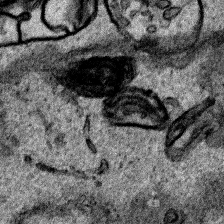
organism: Human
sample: Mitochondria in HCT116 cells